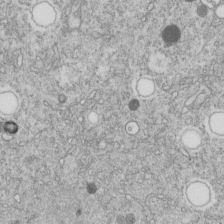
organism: C. elegans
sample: C. elegans embryo early stage